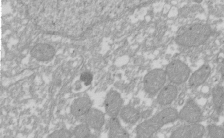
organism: Xenopus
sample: Cilia; centrioles in frog embryo cells